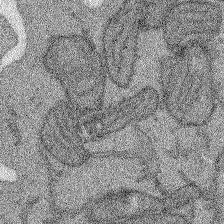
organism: Human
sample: HeLa cells